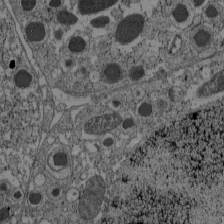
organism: C57BL Mouse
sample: Pancreatic islet